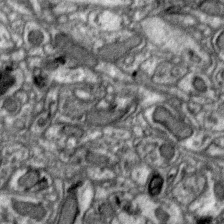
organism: Zebra finch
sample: Brain